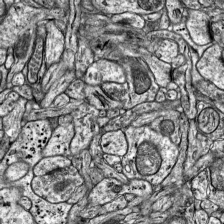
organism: Mouse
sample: Visual Cortex